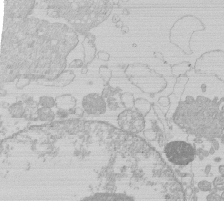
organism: Human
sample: Macrophage cells